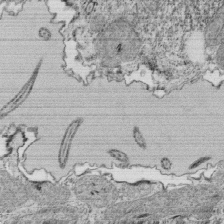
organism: Tetrahymena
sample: Cilia in tetrahymena